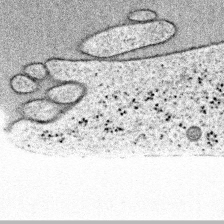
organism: Human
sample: HeLa cells